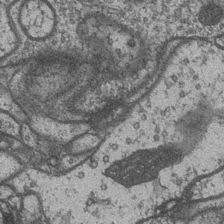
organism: Drosophila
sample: Optic medulla